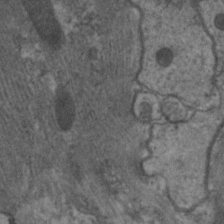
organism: C. elegans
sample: Pharynx